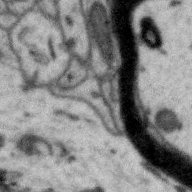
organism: Zebra finch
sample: Brain